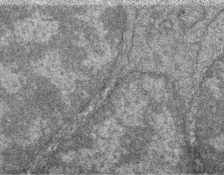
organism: Zebrafish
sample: Cilia; retinal pigment epithelium